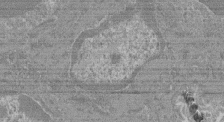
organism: Mouse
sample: Glomerulus